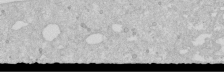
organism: Human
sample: Caco-2 cells